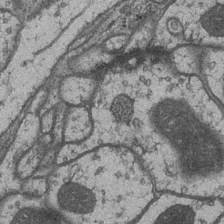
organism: Drosophila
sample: Optic medulla